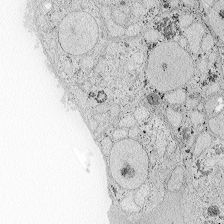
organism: Zebrafish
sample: Whole-Brain